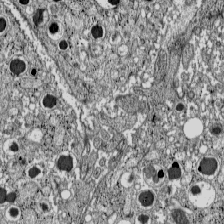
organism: C57BL Mouse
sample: Pancreatic islet